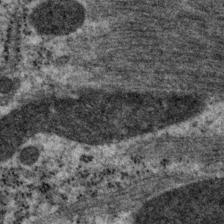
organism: P. pacificus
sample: Pharynx